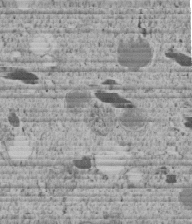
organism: C. elegans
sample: C. elegans embryo early stage